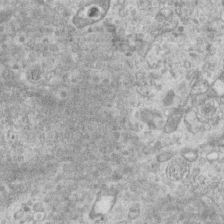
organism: Mouse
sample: Centriole in ependymal cells